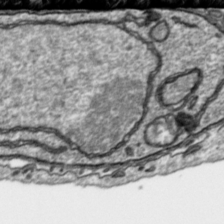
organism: Toxoplasma gondii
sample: Parasites in a vacuole inside a host cell